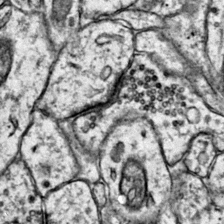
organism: Mouse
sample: Primary visual cortex